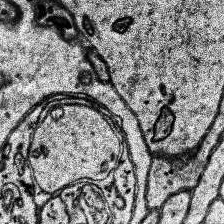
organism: Human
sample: Temporal Lobe